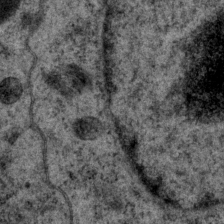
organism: P. pacificus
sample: Pharynx